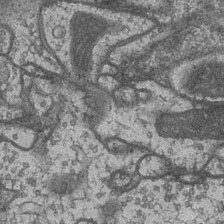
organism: Drosophila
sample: Optic medulla